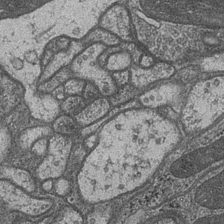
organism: Drosophila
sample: Optic medulla